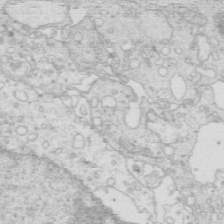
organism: Mouse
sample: Multiciliated cells